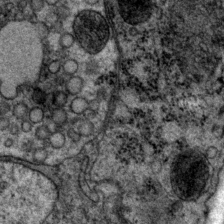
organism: P. pacificus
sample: Pharynx